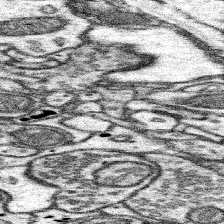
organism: Mouse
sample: Somatosensory cortex neuropil